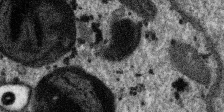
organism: Human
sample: Lung epithelial cells infected with SARS-CoV-2